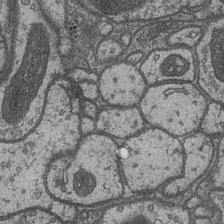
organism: Drosophila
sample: Optic medulla